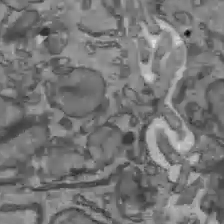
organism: C57BL Mouse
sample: Liver